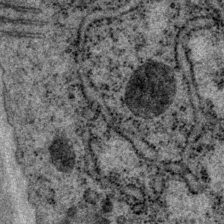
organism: P. pacificus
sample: Pharynx